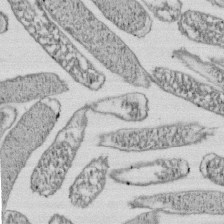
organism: E. coli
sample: Bacterial nucleoid